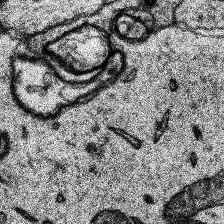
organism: Human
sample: Temporal Lobe